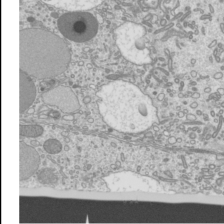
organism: Mouse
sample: Cilia; mouse epididymis